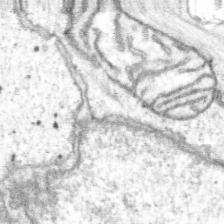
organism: Human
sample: HeLa cells